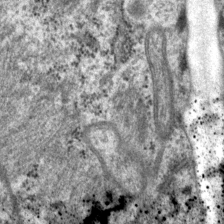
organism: P. pacificus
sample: Pharynx